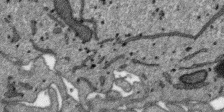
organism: Human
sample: Lung epithelial cells, uninfected (mock) control